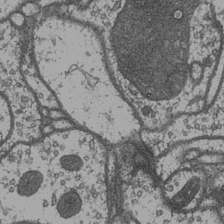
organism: Drosophila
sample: Optic medulla